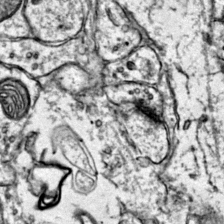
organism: Mouse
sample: Primary visual cortex